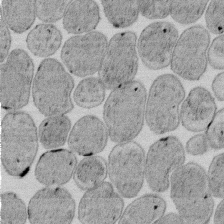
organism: E. coli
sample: Bacterial nucleoid